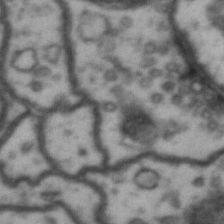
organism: Drosophila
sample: Brain